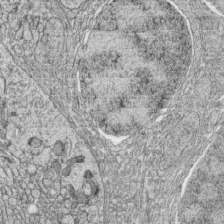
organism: Zebrafish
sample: synaptic ribbons in rod cells and cone cells